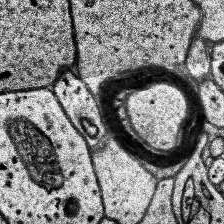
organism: Human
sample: Temporal Lobe